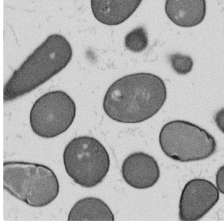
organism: B. subtilis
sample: Bacterial spore